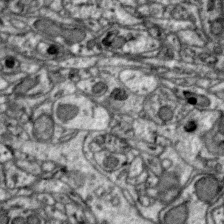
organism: Zebra finch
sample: Brain